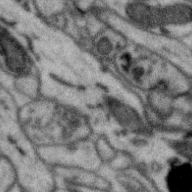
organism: Zebra finch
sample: Brain